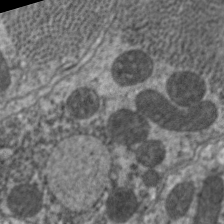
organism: C. elegans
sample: Pharynx